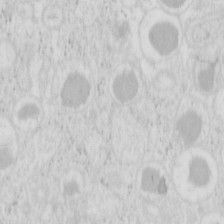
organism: Mouse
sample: Pancreas